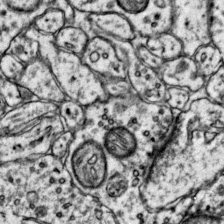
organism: Mouse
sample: Primary visual cortex